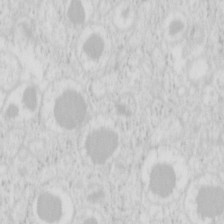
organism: Mouse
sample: Pancreas